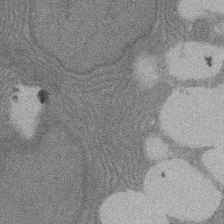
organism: Rat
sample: Salivary granule